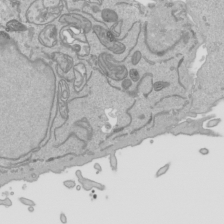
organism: Human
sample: Mitochondria in HCT116 cells